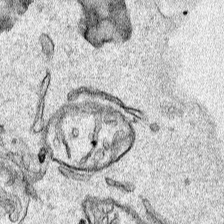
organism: Human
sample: Mitochondria in HCT116 cells